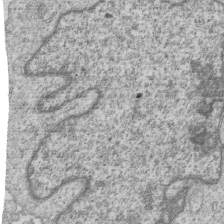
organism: Human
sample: MDA-MB-231 cells